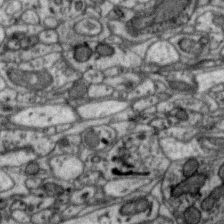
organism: Zebra finch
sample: Brain